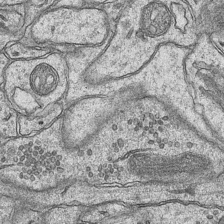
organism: Mouse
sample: CA1 Hippocampus